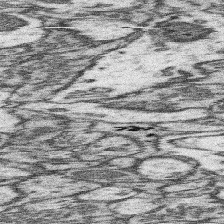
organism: Mouse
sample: Somatosensory cortex neuropil